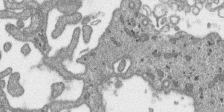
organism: Human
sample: Lung epithelial cells infected with SARS-CoV-2